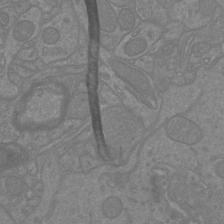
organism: Mouse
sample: Cortical neurons